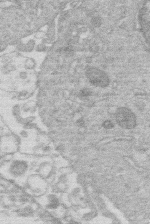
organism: Human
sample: Macrophage cells